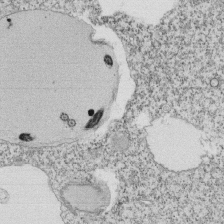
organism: Tetrahymena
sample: Cilia in tetrahymena